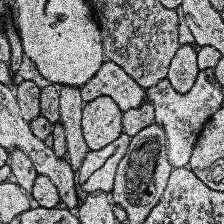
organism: Human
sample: Temporal Lobe